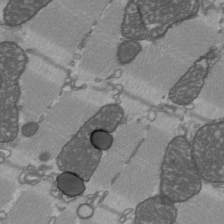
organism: C57BL Mouse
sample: Heart